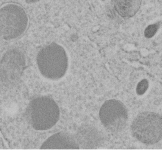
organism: C. elegans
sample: C. elegans embryo early stage